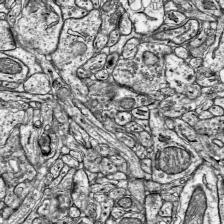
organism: Mouse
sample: Visual Cortex